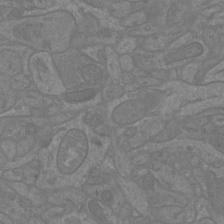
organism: Mouse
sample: Cortical neurons